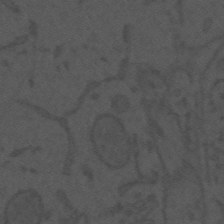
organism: Mouse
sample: Suprachiasmatic nucleus